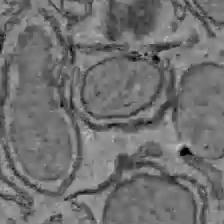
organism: C57BL Mouse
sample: Liver